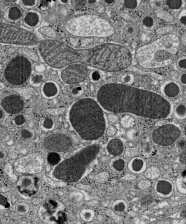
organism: C57BL Mouse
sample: Pancreatic islet